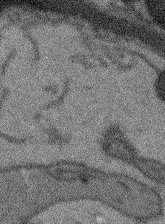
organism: Arabidopsis thaliana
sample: Root tip